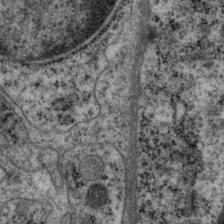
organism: P. pacificus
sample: Pharynx